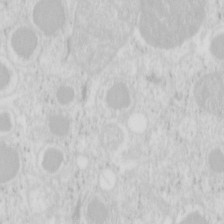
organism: Mouse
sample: Pancreas